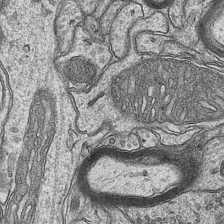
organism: Mouse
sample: CA1 Hippocampus